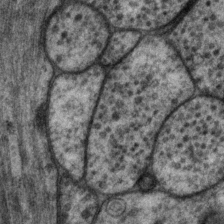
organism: P. pacificus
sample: Pharynx